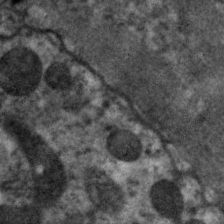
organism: C. elegans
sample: Pharynx